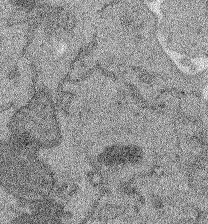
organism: Human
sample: HeLa cells